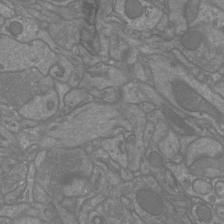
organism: Mouse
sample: Cortical neurons